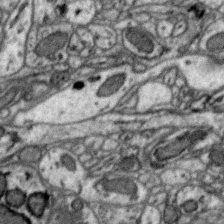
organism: Zebra finch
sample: Brain